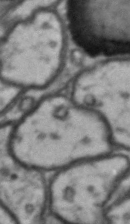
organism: Drosophila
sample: Brain